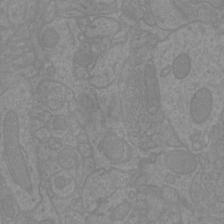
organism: Mouse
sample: Cortical neurons